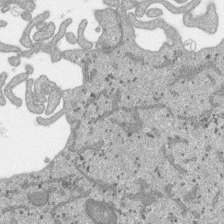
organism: Human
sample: Lung epithelial cells infected with SARS-CoV-2